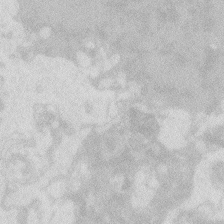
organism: Zebrafish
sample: Macrophage